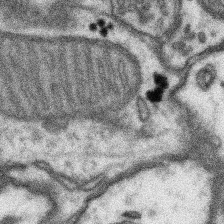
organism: Mouse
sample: Somatosensory cortex neuropil